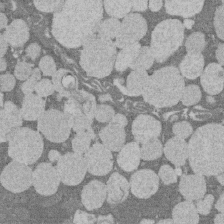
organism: Rat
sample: Salivary granule